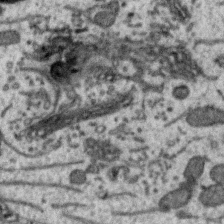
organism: Zebra finch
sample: Brain